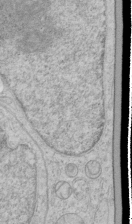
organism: Human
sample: Mitochondria in HCT116 cells